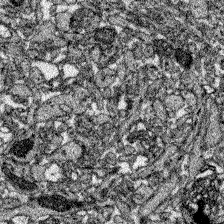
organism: Zebrafish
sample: Larval olfactory bulb